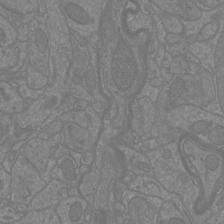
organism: Mouse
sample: Cortical neurons